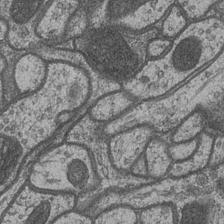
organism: Drosophila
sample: Optic medulla